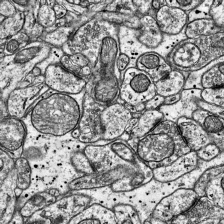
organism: Mouse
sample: Visual Cortex